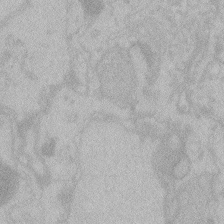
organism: Zebrafish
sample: Macrophage infected with Toxoplasma gondii